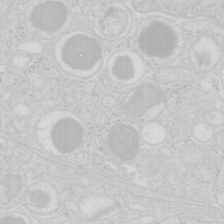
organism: Mouse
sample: Pancreas